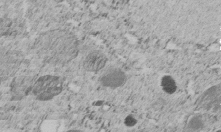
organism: C. elegans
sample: C. elegans embryo early stage